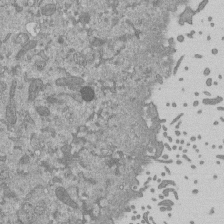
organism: Mouse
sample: ED-1 cell nuclei; centrioles